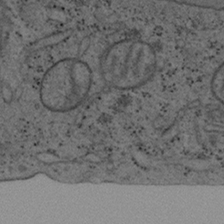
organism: Human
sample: HeLa cells